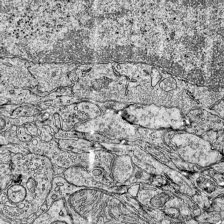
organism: Mouse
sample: Visual Cortex